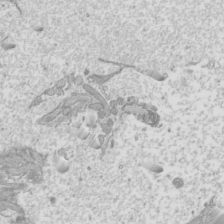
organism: Mouse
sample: Cilia; mouse epididymis